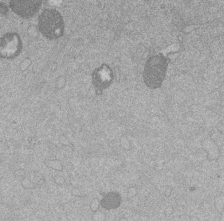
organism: Mouse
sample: Dividing mouse embryo 1 cell stage